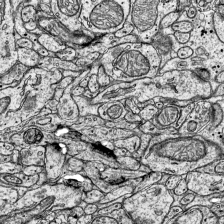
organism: Mouse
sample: Visual Cortex